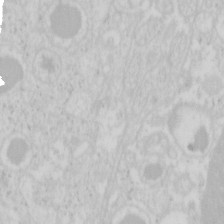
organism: Mouse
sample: Pancreas